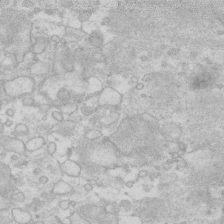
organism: Human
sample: Fibroblast cells